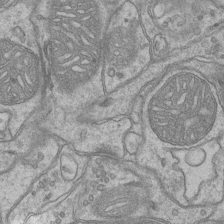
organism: Mouse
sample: CA1 Hippocampus